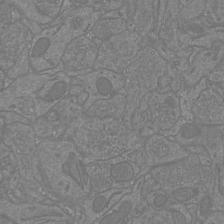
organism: Mouse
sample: Cortical neurons